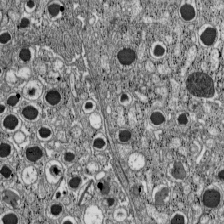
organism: C57BL Mouse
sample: Pancreatic islet